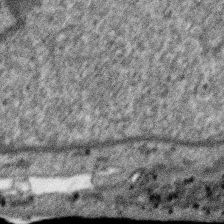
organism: Human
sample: Lung epithelial cells infected with SARS-CoV-2